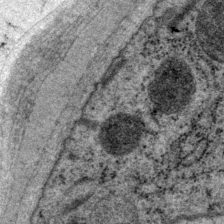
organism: P. pacificus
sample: Pharynx